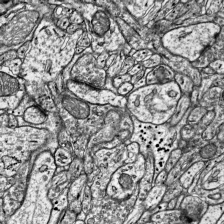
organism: Mouse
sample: Visual Cortex